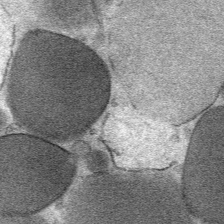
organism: Mouse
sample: Mouse Salivary gland